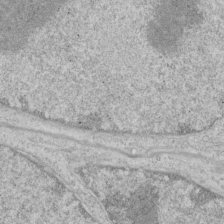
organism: Human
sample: Mitochondria in HCT116 cells